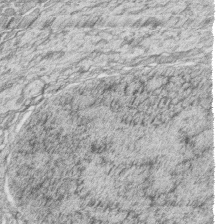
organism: Zebrafish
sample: synaptic ribbons in rod cells and cone cells